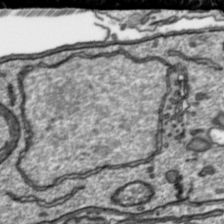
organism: Toxoplasma gondii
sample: Parasites in a vacuole inside a host cell